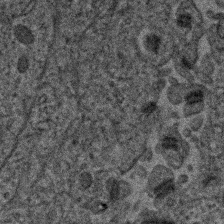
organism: Human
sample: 1205lu cells